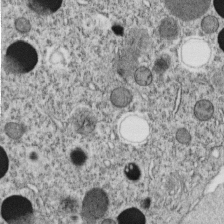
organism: C. elegans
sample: C. elegans embryo early stage